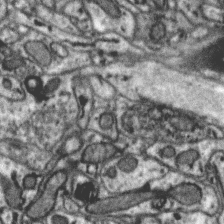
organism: Zebra finch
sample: Brain